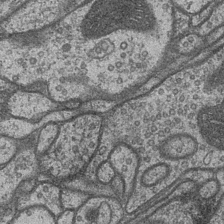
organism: Drosophila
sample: Optic medulla